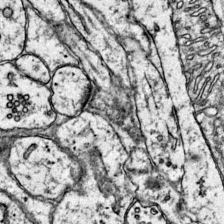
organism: Mouse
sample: Primary visual cortex